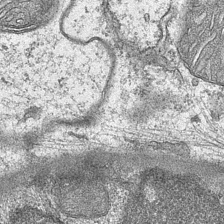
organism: Mouse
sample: CA1 Hippocampus